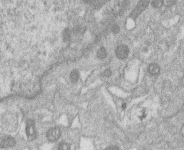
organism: Human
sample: Macrophage cells